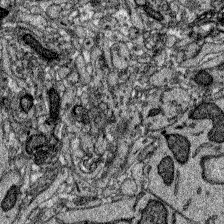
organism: Zebrafish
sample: Larval olfactory bulb